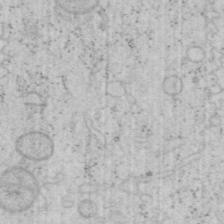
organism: Human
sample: HeLa cells